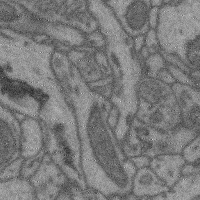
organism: Mouse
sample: Cerebral cortex